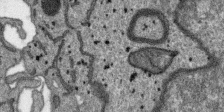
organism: Human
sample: Lung epithelial cells, uninfected (mock) control